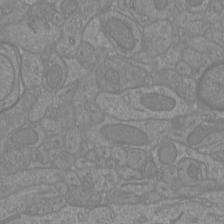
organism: Mouse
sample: Cortical neurons